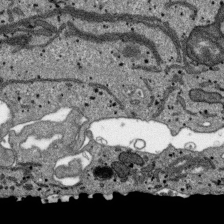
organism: Human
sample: Lung epithelial cells, uninfected (mock) control